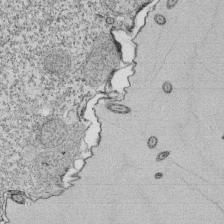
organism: Tetrahymena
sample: Cilia in tetrahymena